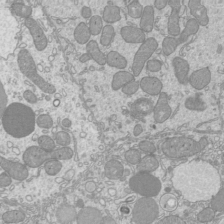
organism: Mouse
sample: Cilia; mouse epididymis